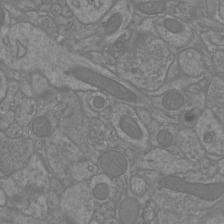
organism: Mouse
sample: Cortical neurons